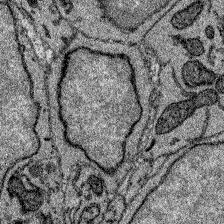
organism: Zebrafish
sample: Larval olfactory bulb